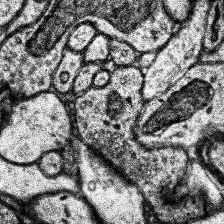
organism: Human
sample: Temporal Lobe